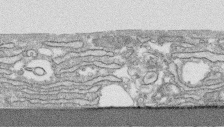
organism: Human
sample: CRL-1474